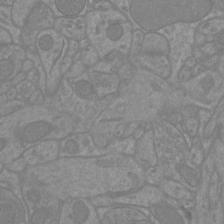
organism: Mouse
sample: Cortical neurons